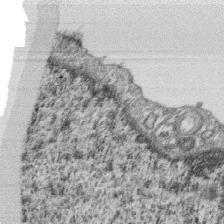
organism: African green monkey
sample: Vero E6 cells infected with SARS-CoV-2